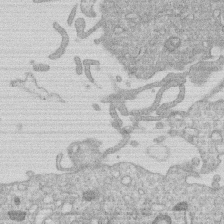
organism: Human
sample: Macrophage cells